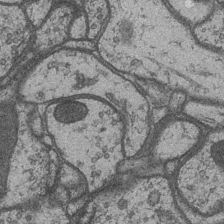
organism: Drosophila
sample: Optic medulla